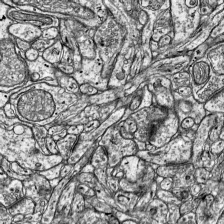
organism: Mouse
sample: Visual Cortex